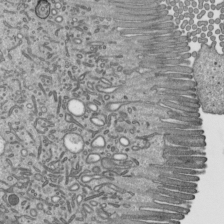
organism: Mouse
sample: Mouse epididymis efferent ductule cilia